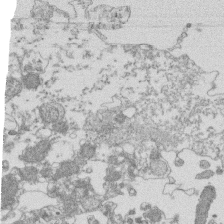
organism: Human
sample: HeLa cell HIV synapse